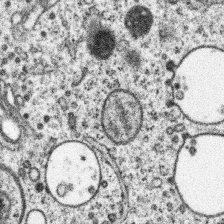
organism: Human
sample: HeLa cells